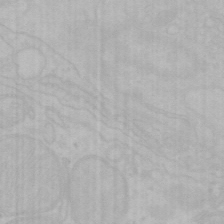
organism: Mouse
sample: Choroid plexus